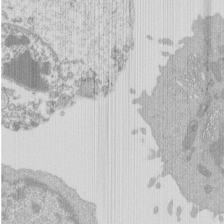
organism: Mouse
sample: Activated Pmel transgenic CD8+ T Cells